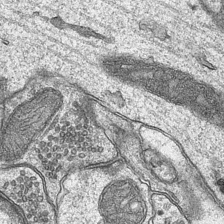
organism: Mouse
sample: CA1 Hippocampus